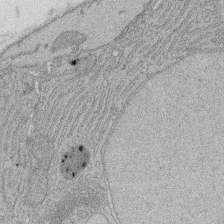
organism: Rat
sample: Salivary granule